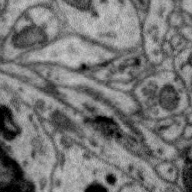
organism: Zebra finch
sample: Brain